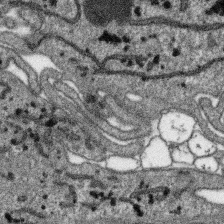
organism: Human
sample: Lung epithelial cells infected with SARS-CoV-2